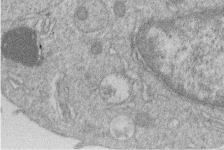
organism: Human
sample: Macrophage cells